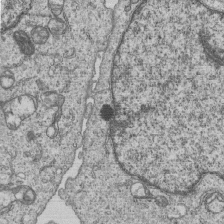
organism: Human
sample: MDA-MB-231 cells